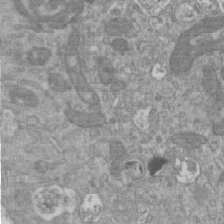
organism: Mouse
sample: ED-1 cell nuclei; centrioles